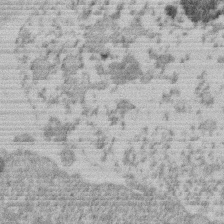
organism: Mouse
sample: Dividing mouse embryo 1 cell stage